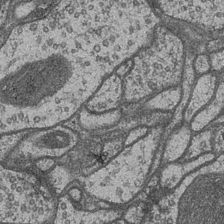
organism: Drosophila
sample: Optic medulla